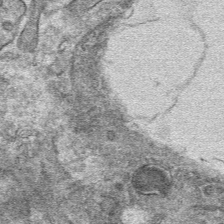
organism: Mouse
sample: Mouse hepatocytes